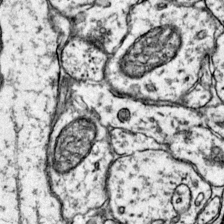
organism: Mouse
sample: Primary visual cortex